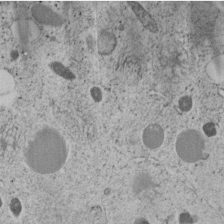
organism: C. elegans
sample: C. elegans embryo early stage